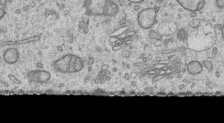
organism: Human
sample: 1205lu cells